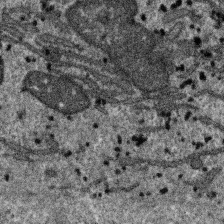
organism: Human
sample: Lung epithelial cells infected with SARS-CoV-2